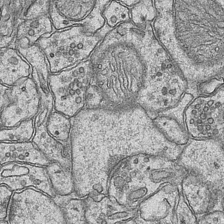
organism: Mouse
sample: CA1 Hippocampus